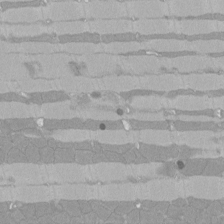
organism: Rat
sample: Left ventricle